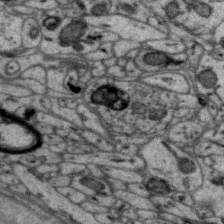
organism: Zebra finch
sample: Brain